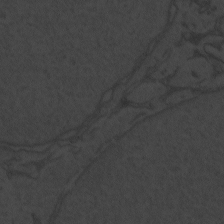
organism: Zebrafish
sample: Macrophage infected with Toxoplasma gondii